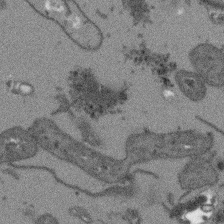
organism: Arabidopsis thaliana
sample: Root tip